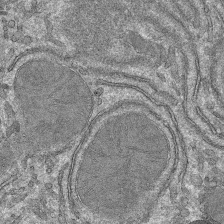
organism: Mouse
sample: Mouse hepatocytes